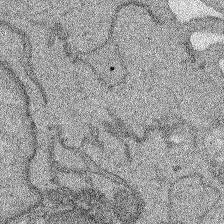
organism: Human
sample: HeLa cells